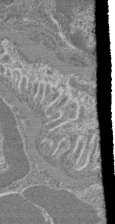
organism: Mouse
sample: Glomerulus